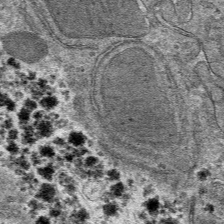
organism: Mouse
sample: Mouse hepatocytes